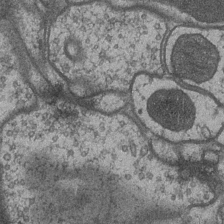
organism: Drosophila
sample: Optic medulla